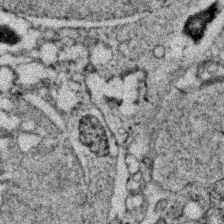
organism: Zebrafish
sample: Zebrafish embryo